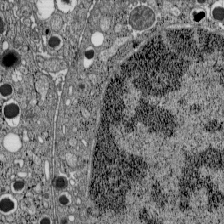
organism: C57BL Mouse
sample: Pancreatic islet